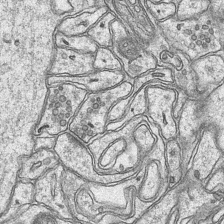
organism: Mouse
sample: CA1 Hippocampus